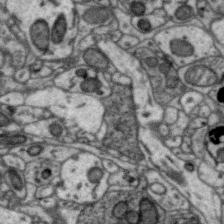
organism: Zebra finch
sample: Brain